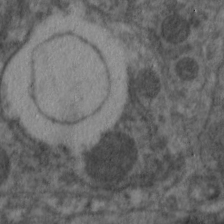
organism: C. elegans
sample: Pharynx